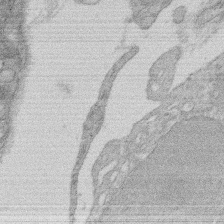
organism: Rat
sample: Salivary granule